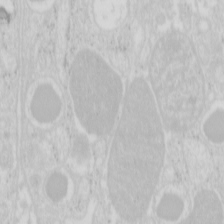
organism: Mouse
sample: Pancreas